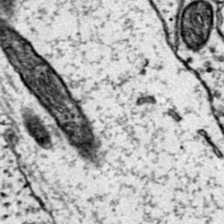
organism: Mouse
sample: Primary visual cortex